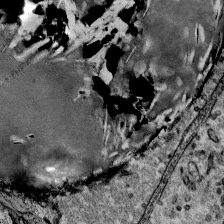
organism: Mouse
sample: Mouse Salivary gland